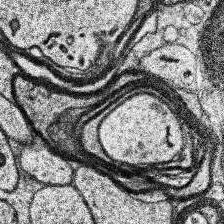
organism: Human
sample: Temporal Lobe